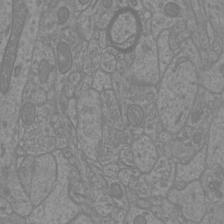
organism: Mouse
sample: Cortical neurons